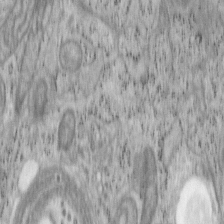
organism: Human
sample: HeLa cells